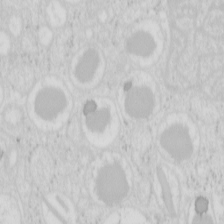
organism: Mouse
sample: Pancreas